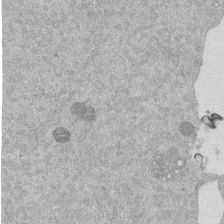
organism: Mouse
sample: Dividing mouse embryo 1 cell stage